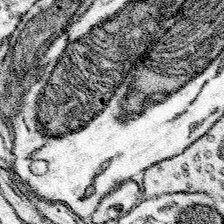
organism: Mouse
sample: Somatosensory cortex neuropil